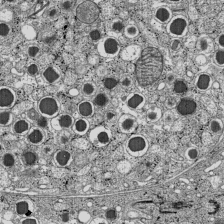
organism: C57BL Mouse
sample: Pancreatic islet